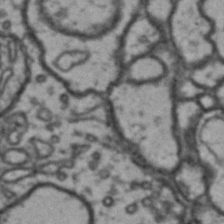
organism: Drosophila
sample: Brain